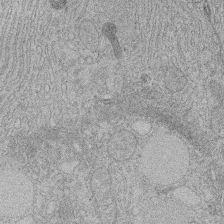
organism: Rat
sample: Salivary granule